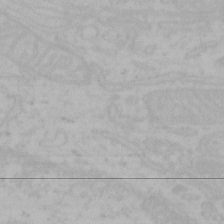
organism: Mouse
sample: Choroid plexus